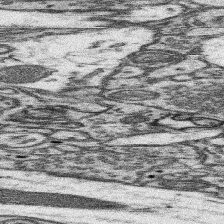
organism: Mouse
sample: Somatosensory cortex neuropil